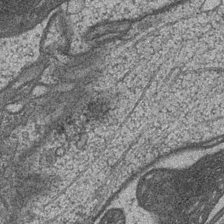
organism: Drosophila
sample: Optic medulla